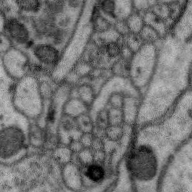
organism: Zebra finch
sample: Brain